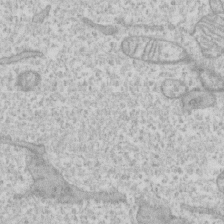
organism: Human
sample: CRL-1474